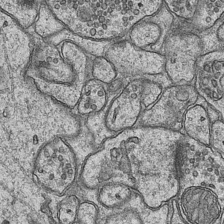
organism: Mouse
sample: CA1 Hippocampus